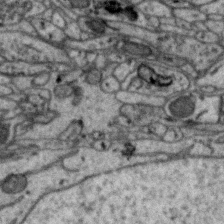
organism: Zebra finch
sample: Brain